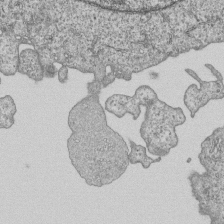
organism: Human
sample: MDA-MB-231 cells